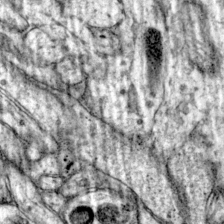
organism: Mouse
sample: Primary visual cortex